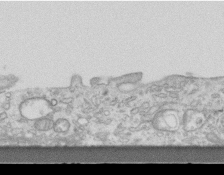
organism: Mouse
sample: Centriole in ependymal cells